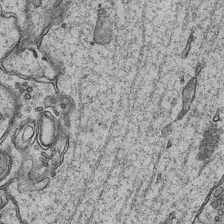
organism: Mouse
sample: CA1 Hippocampus